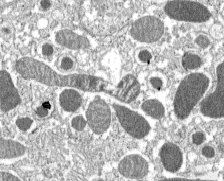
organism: C57BL Mouse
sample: Pancreatic islet